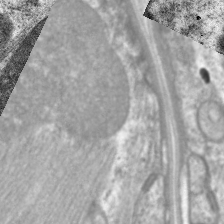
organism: C. elegans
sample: Pharynx